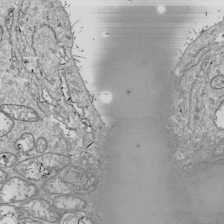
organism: Drosophila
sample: Cell division; meiosis; drosophila spermatocytes